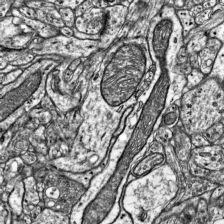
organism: Mouse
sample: Visual Cortex